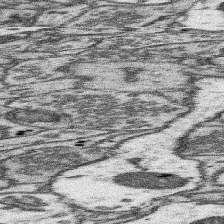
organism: Mouse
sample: Somatosensory cortex neuropil